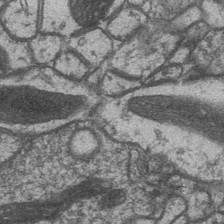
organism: Drosophila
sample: Optic medulla